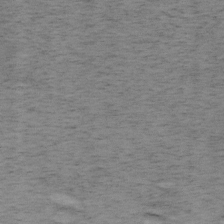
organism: Mouse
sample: OT-I killer T cells with ID8 ovarian cancer cells